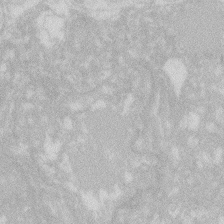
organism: Zebrafish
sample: Macrophage